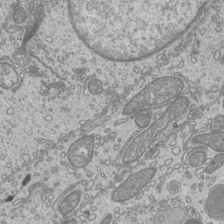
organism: Mouse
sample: Cilia; mouse epididymis